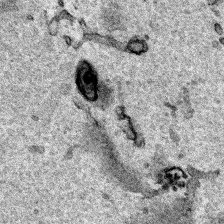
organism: Human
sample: Mitochondria in HCT116 cells